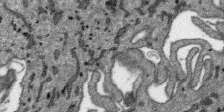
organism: Human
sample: Lung epithelial cells, uninfected (mock) control